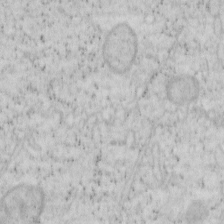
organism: Human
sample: HeLa cells